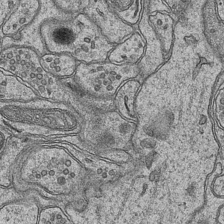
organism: Mouse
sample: CA1 Hippocampus